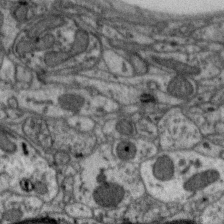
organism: Zebra finch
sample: Brain